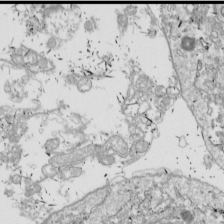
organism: Drosophila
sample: Cell division; meiosis; drosophila spermatocytes